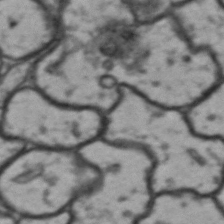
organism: Drosophila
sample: Brain